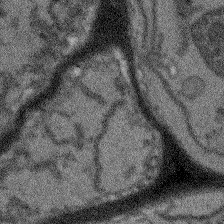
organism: Arabidopsis thaliana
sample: Root tip